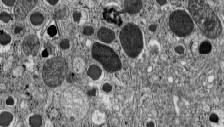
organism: C57BL Mouse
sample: Pancreatic islet